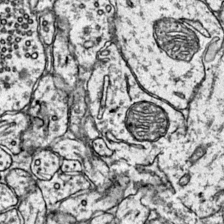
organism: Mouse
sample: Primary visual cortex